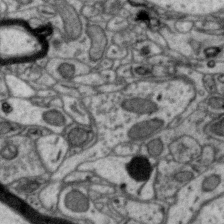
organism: Zebra finch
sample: Brain